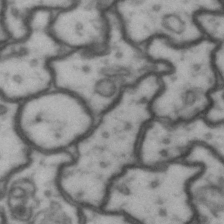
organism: Drosophila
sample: Brain